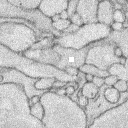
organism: Rabbit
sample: Retina